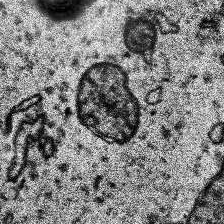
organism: Human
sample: Temporal Lobe